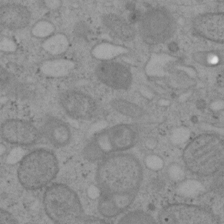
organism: Mouse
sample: OT-I killer T cells with ID8 ovarian cancer cells